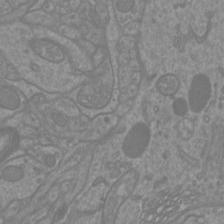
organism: Mouse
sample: Cortical neurons